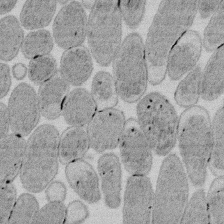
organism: E. coli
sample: Bacterial nucleoid